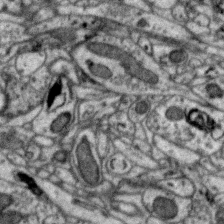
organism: Zebra finch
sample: Brain